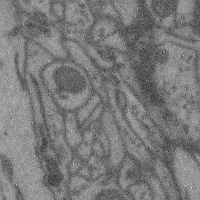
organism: Mouse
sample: Cerebral cortex